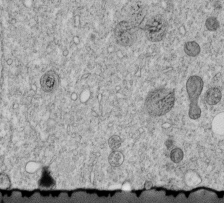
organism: C. elegans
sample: C. elegans embryo early stage